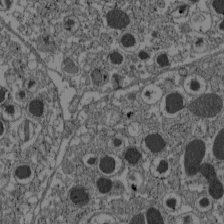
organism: C57BL Mouse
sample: Pancreatic islet